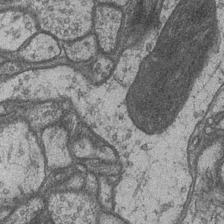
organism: Drosophila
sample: Optic medulla